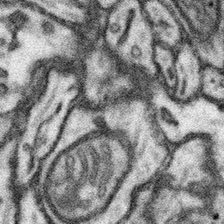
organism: Mouse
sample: Somatosensory cortex neuropil